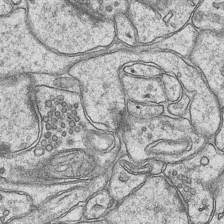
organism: Mouse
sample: CA1 Hippocampus